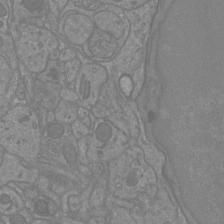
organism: Mouse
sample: Cortical neurons